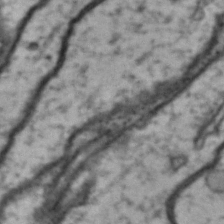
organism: Drosophila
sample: Brain